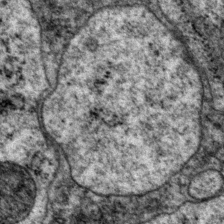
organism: P. pacificus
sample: Pharynx